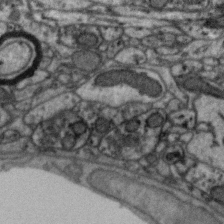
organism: Zebra finch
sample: Brain